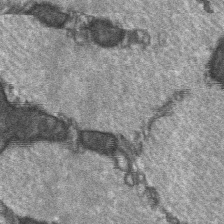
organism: C57BL Mouse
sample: Soleus